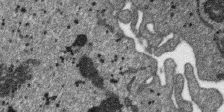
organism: Human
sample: Lung epithelial cells infected with SARS-CoV-2